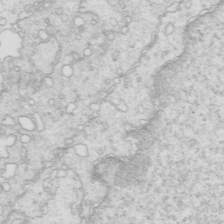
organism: Mouse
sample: Multiciliated cells